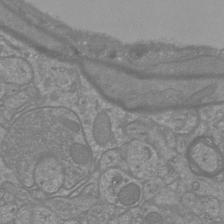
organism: Mouse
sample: Cortical neurons